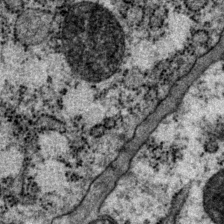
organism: P. pacificus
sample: Pharynx